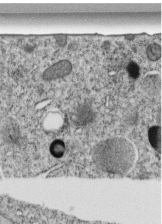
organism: C. elegans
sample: C. elegans embryo early stage